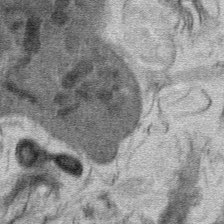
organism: Mouse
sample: Mouse hepatocytes